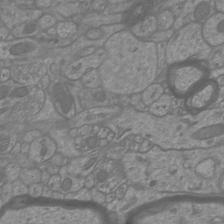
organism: Mouse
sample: Cortical neurons